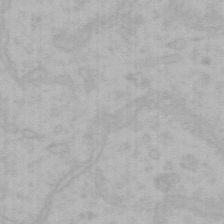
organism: Mouse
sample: Choroid plexus